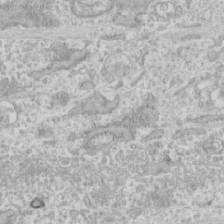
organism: Human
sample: CRL-1474